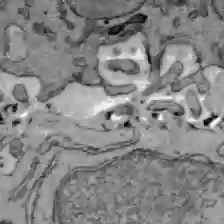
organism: C57BL Mouse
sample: Liver